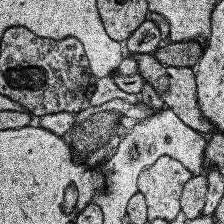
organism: Human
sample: Temporal Lobe